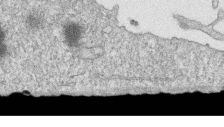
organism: Human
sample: HeLa cell HIV synapse